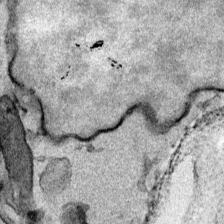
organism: Mouse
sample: Cancer cell death in ED-1 cells